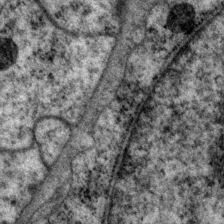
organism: P. pacificus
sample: Pharynx